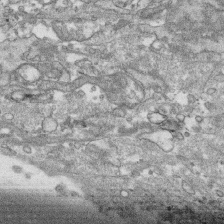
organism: Human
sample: CRL-1474